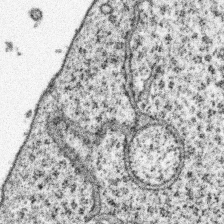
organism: Human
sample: HeLa cells